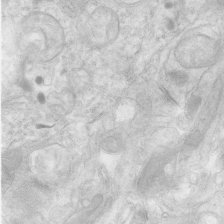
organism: Human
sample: Neocortex